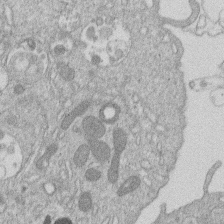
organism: Human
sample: Macrophage cells